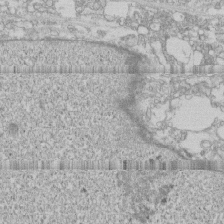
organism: Human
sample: CRL-1474